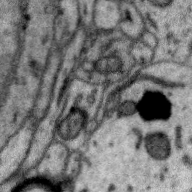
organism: Zebra finch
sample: Brain